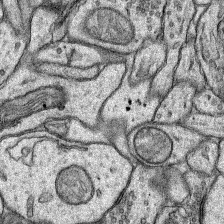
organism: Rat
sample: Hippocampus